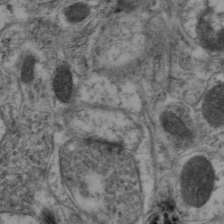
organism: Mouse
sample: Neocortex